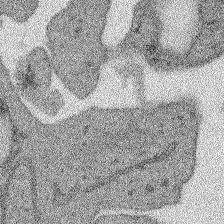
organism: Human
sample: HeLa cells